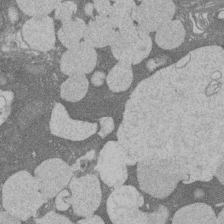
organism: Rat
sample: Salivary granule